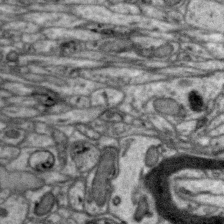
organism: Zebra finch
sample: Brain